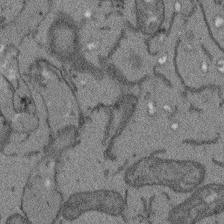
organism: Arabidopsis thaliana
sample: Root tip